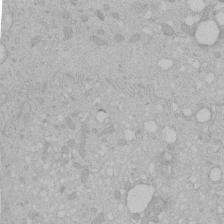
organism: Human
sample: Melanocyte Keratinocyte synapse skin construct